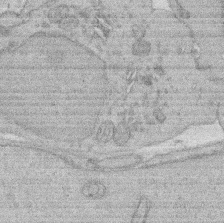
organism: Rat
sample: Salivary granule